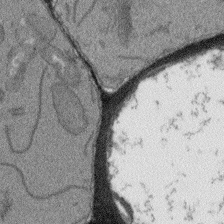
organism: Arabidopsis thaliana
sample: Root tip